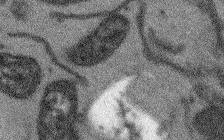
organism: Arabidopsis thaliana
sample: Root tip